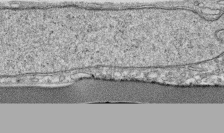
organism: Human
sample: CRL-1474